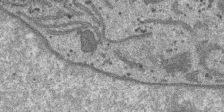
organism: Human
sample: Lung epithelial cells infected with SARS-CoV-2